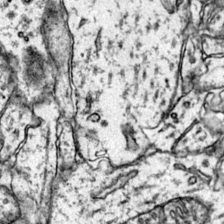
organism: Mouse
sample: Primary visual cortex